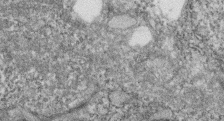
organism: Zebrafish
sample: Cilia; retinal pigment epithelium